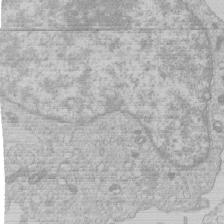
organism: Human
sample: Macrophage cells